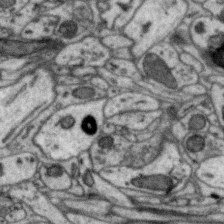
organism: Zebra finch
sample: Brain